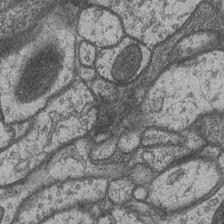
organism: Drosophila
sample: Optic medulla